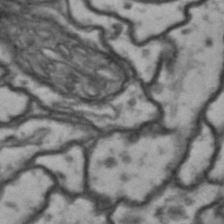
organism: Drosophila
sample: Brain